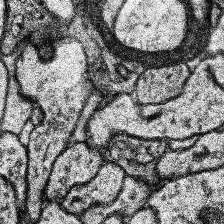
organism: Human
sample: Temporal Lobe